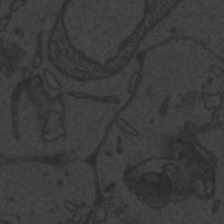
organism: Zebrafish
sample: Macrophage infected with Toxoplasma gondii